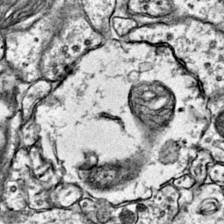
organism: Mouse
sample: Primary visual cortex